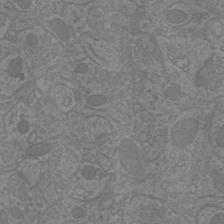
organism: Mouse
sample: Cortical neurons